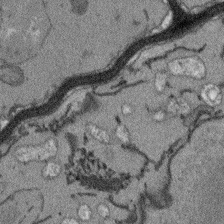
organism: Arabidopsis thaliana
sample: Root tip